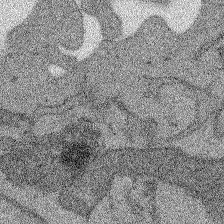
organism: Human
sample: HeLa cells